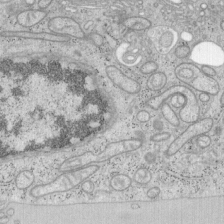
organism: Mouse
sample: OT-I killer T cells with ID8 ovarian cancer cells